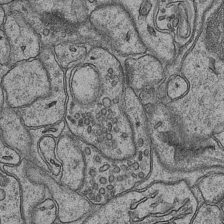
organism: Mouse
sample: CA1 Hippocampus